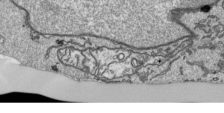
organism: Human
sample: Mitochondria in HCT116 cells